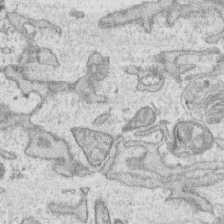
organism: Human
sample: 1205lu cells